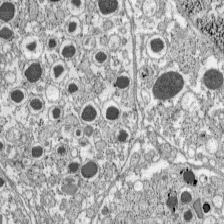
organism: C57BL Mouse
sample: Pancreatic islet